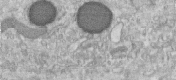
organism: Human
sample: Centriole in fibroblast cells